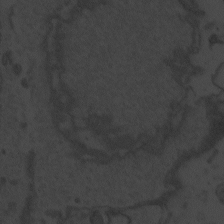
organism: Zebrafish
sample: Macrophage infected with Toxoplasma gondii